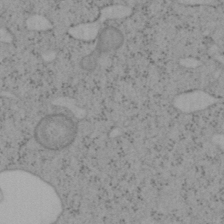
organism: Mouse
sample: OT-I killer T cells with ID8 ovarian cancer cells